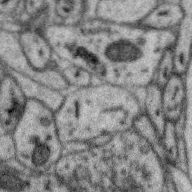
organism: Zebra finch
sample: Brain